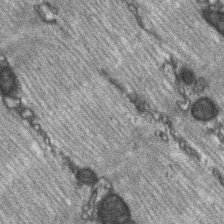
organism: C57BL Mouse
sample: Soleus